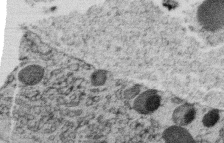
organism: C. elegans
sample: C. elegans oocyte; sperm cells